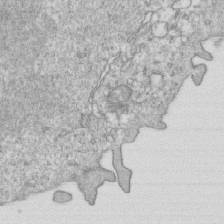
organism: Mouse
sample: Activated OT-1 CD8+ T cells